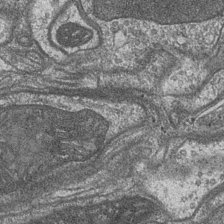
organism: Drosophila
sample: Optic medulla